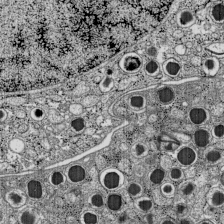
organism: C57BL Mouse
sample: Pancreatic islet